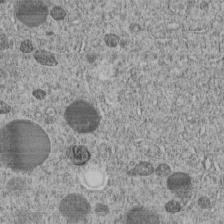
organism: C. elegans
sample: C. elegans embryo early stage